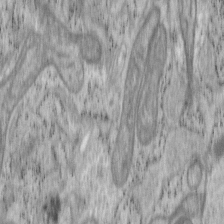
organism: Human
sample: HeLa cells